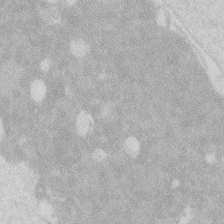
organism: Zebrafish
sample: Macrophage